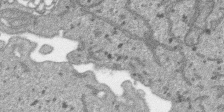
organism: Human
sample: Lung epithelial cells infected with SARS-CoV-2